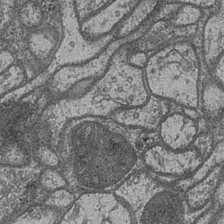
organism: Drosophila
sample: Optic medulla